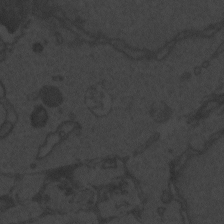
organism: Zebrafish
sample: Macrophage infected with Toxoplasma gondii